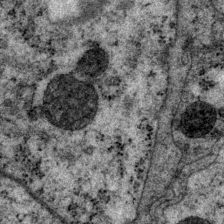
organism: P. pacificus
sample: Pharynx